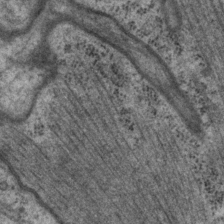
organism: P. pacificus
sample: Pharynx